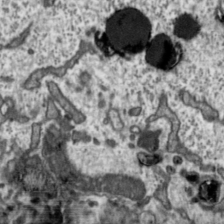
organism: Toxoplasma gondii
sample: Parasites in a vacuole inside a host cell